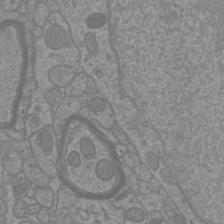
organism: Mouse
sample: Cortical neurons